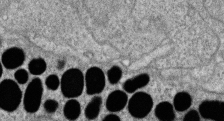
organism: Zebrafish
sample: Cilia; retinal pigment epithelium